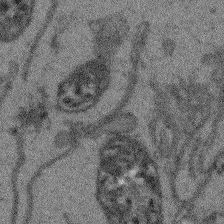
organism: Arabidopsis thaliana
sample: Root tip